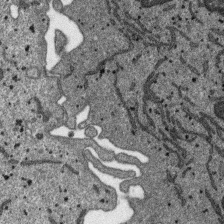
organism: Human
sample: Lung epithelial cells infected with SARS-CoV-2